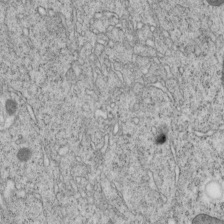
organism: C. elegans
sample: C. elegans embryo early stage